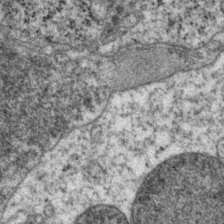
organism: P. pacificus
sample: Pharynx